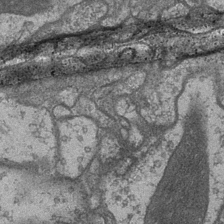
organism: Drosophila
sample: Optic medulla